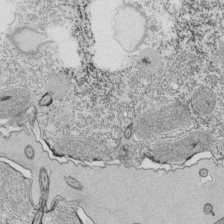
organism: Tetrahymena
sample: Cilia in tetrahymena